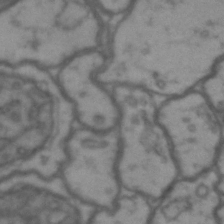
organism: Drosophila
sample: Brain